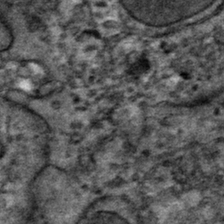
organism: Mouse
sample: Mouse hepatocytes